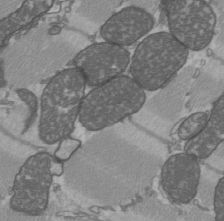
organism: C57BL Mouse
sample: Heart